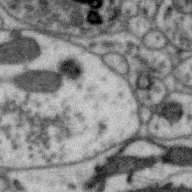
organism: Zebra finch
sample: Brain